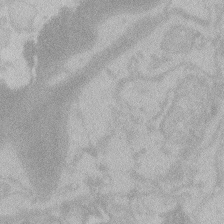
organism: Zebrafish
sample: Macrophage infected with Toxoplasma gondii